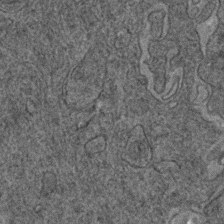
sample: Trachea